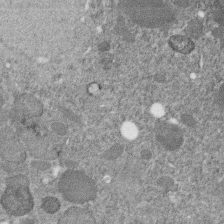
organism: C. elegans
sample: C. elegans embryo early stage